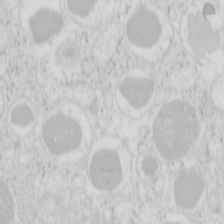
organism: Mouse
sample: Pancreas